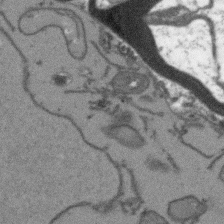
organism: Arabidopsis thaliana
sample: Root tip